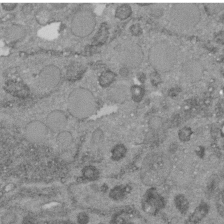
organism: C. elegans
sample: C. elegans embryo early stage